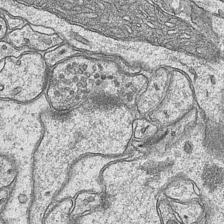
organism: Mouse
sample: CA1 Hippocampus